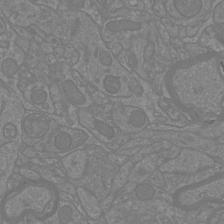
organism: Mouse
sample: Cortical neurons